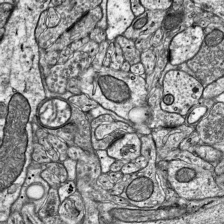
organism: Mouse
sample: Visual Cortex